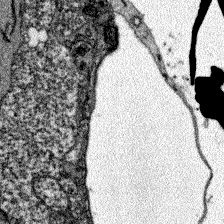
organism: Zebrafish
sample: Larval olfactory bulb